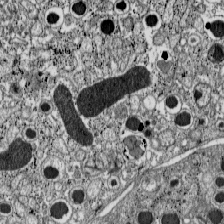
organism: C57BL Mouse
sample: Pancreatic islet